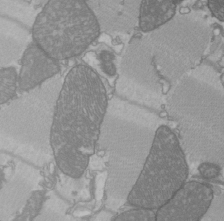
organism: C57BL Mouse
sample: Heart